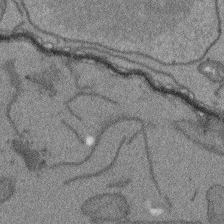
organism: Arabidopsis thaliana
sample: Root tip